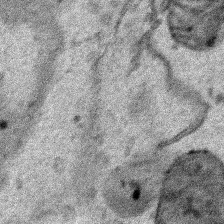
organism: Human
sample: Mitochondria in HCT116 cells